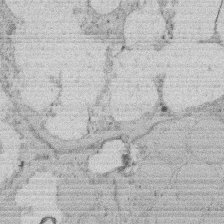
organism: Rat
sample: Salivary granule